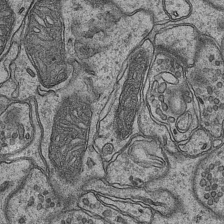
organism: Mouse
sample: CA1 Hippocampus